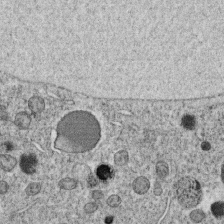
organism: C. elegans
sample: C. elegans oocyte; sperm cells